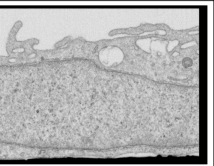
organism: Human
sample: Centriole in RPE cells